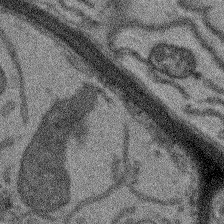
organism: Arabidopsis thaliana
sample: Root tip